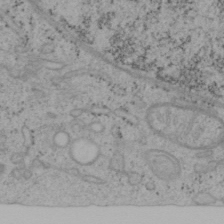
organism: Human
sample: HeLa cells